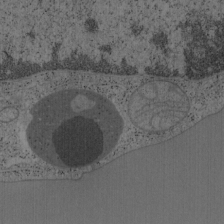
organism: Mouse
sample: OT-I killer T cells with ID8 ovarian cancer cells